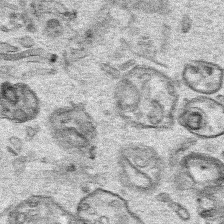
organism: Human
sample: Mitochondria in HCT116 cells